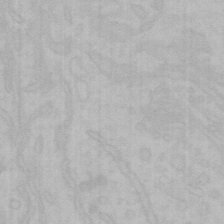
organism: Mouse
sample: Choroid plexus